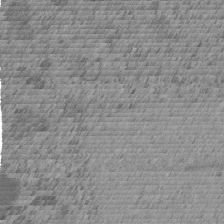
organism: C. elegans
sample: C. elegans embryo early stage